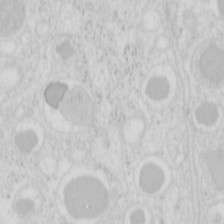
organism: Mouse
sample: Pancreas